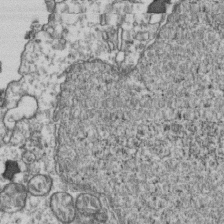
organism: Human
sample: Activated Jurkat CD4+ T cells